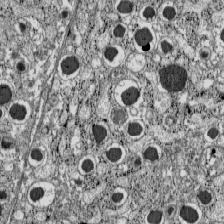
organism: C57BL Mouse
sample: Pancreatic islet